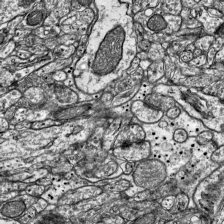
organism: Mouse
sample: Visual Cortex